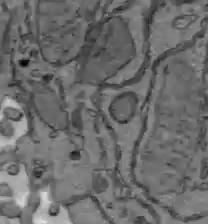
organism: C57BL Mouse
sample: Liver